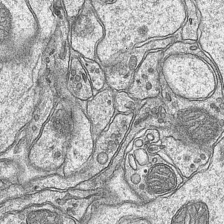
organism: Mouse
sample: CA1 Hippocampus